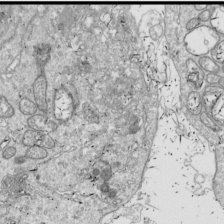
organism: Drosophila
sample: Cell division; meiosis; drosophila spermatocytes